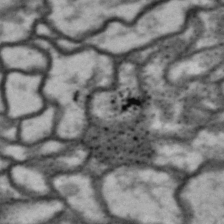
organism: Drosophila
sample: Brain